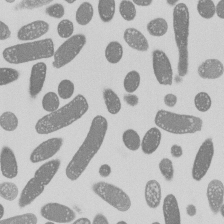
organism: E. coli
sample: Bacterial nucleoid